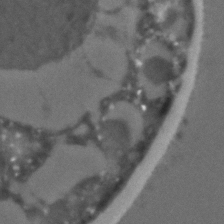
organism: C. elegans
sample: C. elegans embryo